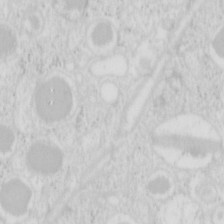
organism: Mouse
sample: Pancreas